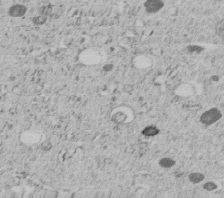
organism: C. elegans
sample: C. elegans embryo early stage